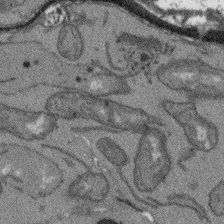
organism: Arabidopsis thaliana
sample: Root tip